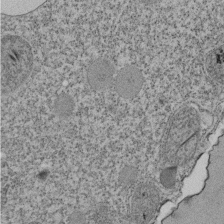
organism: Tetrahymena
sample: Cilia in tetrahymena